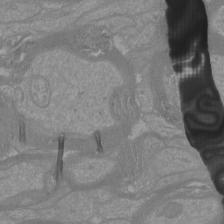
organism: Mouse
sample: Cortical neurons